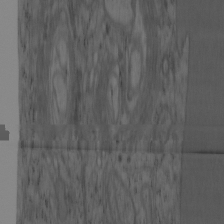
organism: Human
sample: HeLa cells